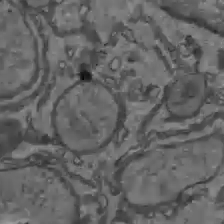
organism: C57BL Mouse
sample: Liver